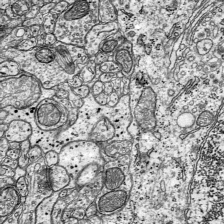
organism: Mouse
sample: Visual Cortex